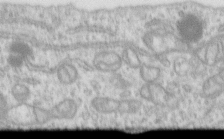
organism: Human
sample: Centriole in RPE cells